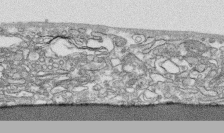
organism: Human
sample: CRL-1474